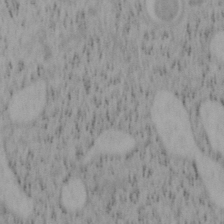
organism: Mouse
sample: OT-I killer T cells with ID8 ovarian cancer cells